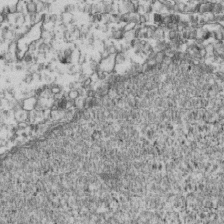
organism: Human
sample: Activated Jurkat CD4+ T cells